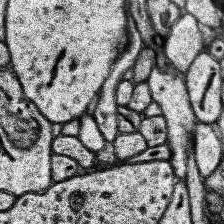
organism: Human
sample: Temporal Lobe